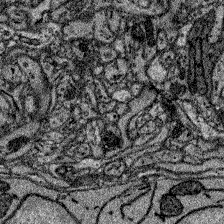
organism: Zebrafish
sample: Larval olfactory bulb